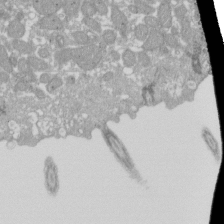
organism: Xenopus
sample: Cilia; centrioles in frog embryo cells